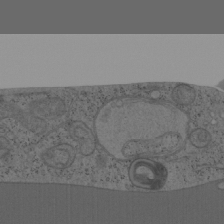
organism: Human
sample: HeLa cells